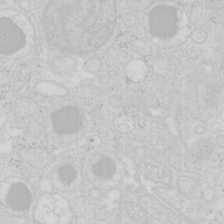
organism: Mouse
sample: Pancreas